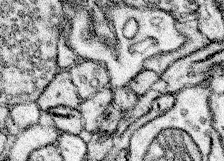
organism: Mouse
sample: Somatosensory cortex neuropil